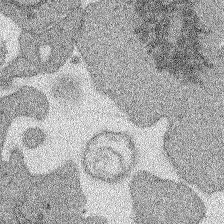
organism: Human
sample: HeLa cells